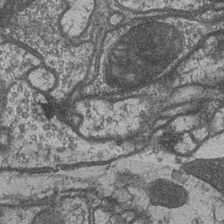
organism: Drosophila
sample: Optic medulla